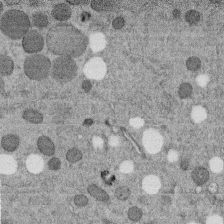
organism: C. elegans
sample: C. elegans embryo early stage